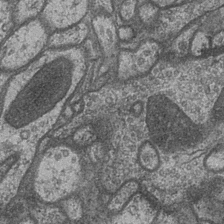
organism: Drosophila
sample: Optic medulla